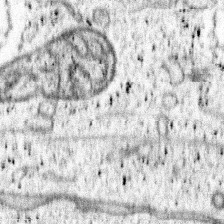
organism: Human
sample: HeLa cells